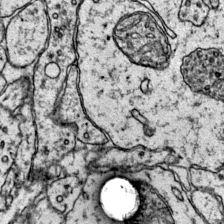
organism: Mouse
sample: Primary visual cortex